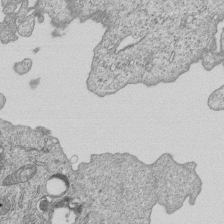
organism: Human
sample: MDA-MB-231 cells